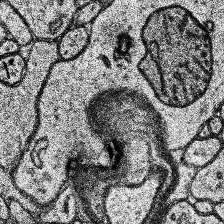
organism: Human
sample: Temporal Lobe